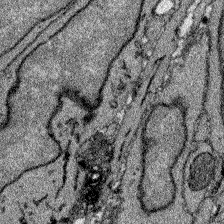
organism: Zebrafish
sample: Larval olfactory bulb